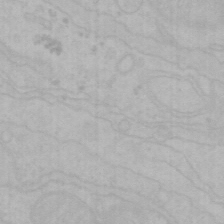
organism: Mouse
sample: Choroid plexus